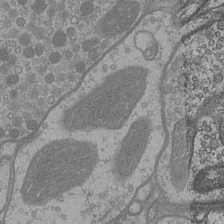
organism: Drosophila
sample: Optic medulla